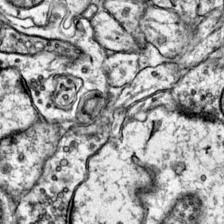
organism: Mouse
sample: Primary visual cortex